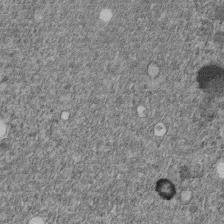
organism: C. elegans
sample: C. elegans embryo early stage